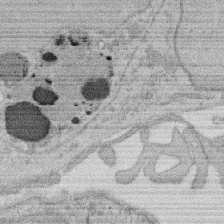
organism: Rat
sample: Salivary granule